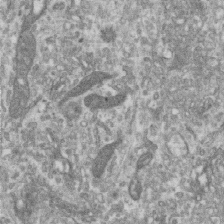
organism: Human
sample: Centriole in RPE cells